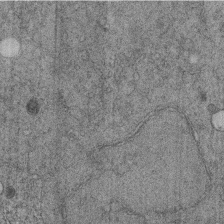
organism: C. elegans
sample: C. elegans embryo early stage